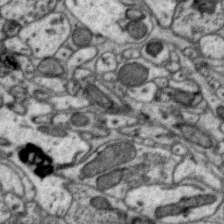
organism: Zebra finch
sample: Brain